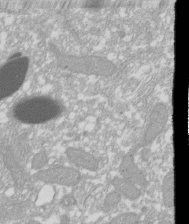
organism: Xenopus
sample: Cilia; centrioles in frog embryo cells